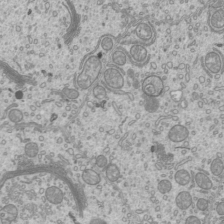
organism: Mouse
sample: Cilia; mouse epididymis